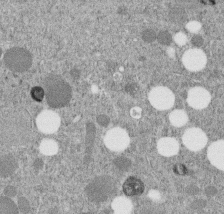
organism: C. elegans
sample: C. elegans embryo early stage